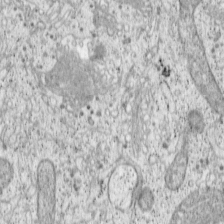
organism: African green monkey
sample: COS-7 cells